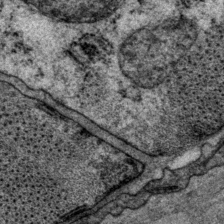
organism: P. pacificus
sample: Pharynx